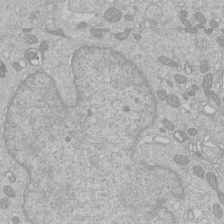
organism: Human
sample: Macrophage cells